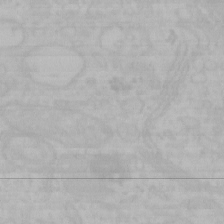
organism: Mouse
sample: Choroid plexus